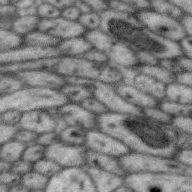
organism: Zebra finch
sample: Brain